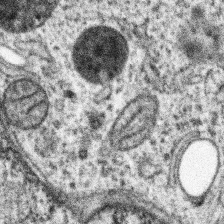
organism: Human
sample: HeLa cells